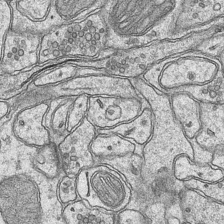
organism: Mouse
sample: CA1 Hippocampus